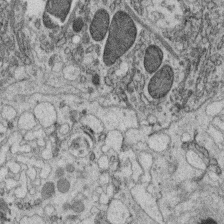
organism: C. elegans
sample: C. elegans oocyte; sperm cells